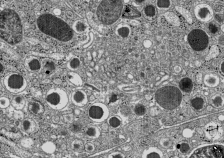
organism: C57BL Mouse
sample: Pancreatic islet